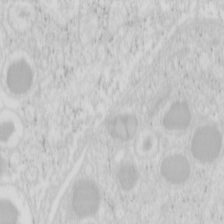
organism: Mouse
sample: Pancreas